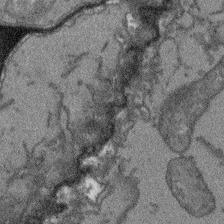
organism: Arabidopsis thaliana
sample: Root tip